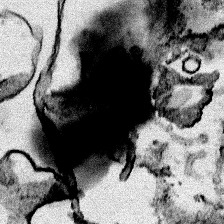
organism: Human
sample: Mitochondria in HCT116 cells